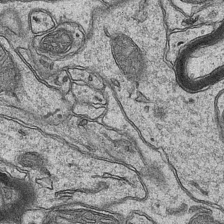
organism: Mouse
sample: CA1 Hippocampus